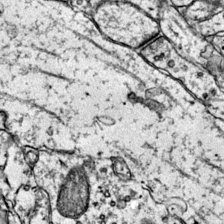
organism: Mouse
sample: Primary visual cortex